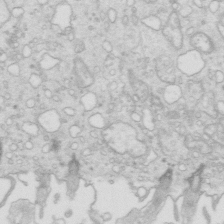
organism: Mouse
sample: Multiciliated cells